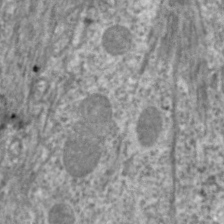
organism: C. elegans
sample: Pharynx